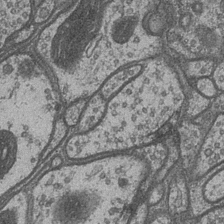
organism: Drosophila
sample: Optic medulla